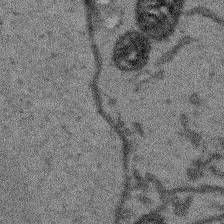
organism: Arabidopsis thaliana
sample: Root tip